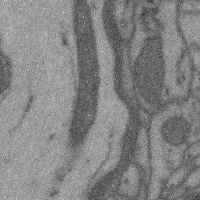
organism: Mouse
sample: Cerebral cortex